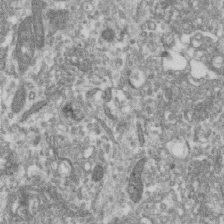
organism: Human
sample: Centriole in RPE cells